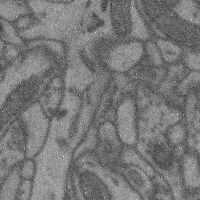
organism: Mouse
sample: Cerebral cortex